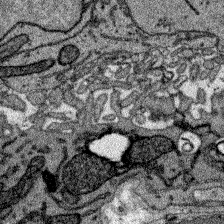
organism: Zebrafish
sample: Larval olfactory bulb